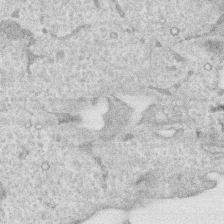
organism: Human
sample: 1205lu cells